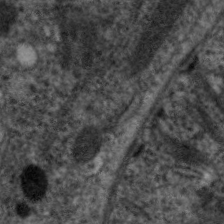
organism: C. elegans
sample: Pharynx